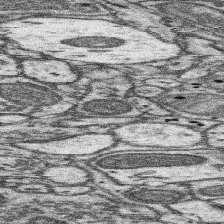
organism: Mouse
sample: Somatosensory cortex neuropil